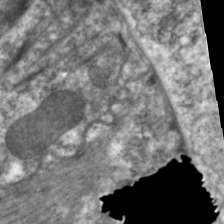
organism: C. elegans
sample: Pharynx